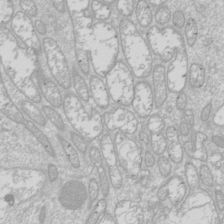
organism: Drosophila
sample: Cell division; meiosis; drosophila spermatocytes